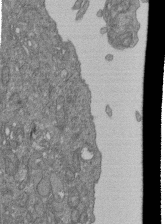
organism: Human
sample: Retinal organoid Rod and Cone cells